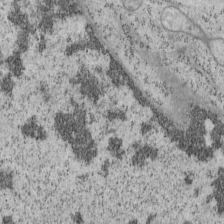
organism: Mouse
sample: OT-I killer T cells with ID8 ovarian cancer cells